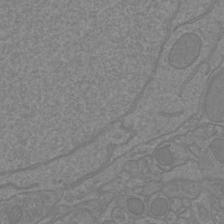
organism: Mouse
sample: Cortical neurons